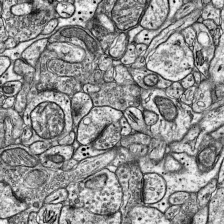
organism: Mouse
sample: Visual Cortex